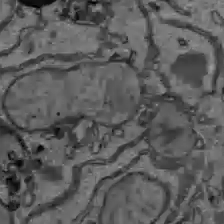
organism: C57BL Mouse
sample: Liver